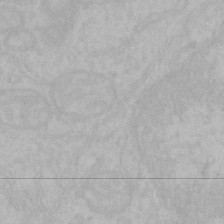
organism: Mouse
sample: Choroid plexus